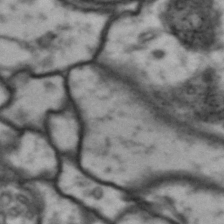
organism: Drosophila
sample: Brain